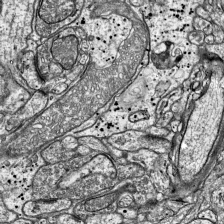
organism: Mouse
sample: Visual Cortex